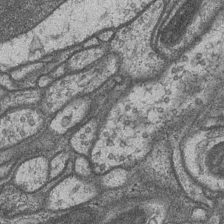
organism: Drosophila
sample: Optic medulla